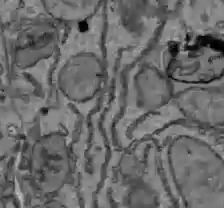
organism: C57BL Mouse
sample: Liver